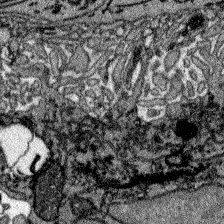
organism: Zebrafish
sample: Larval olfactory bulb